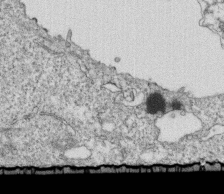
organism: Human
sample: HeLa cell HIV synapse